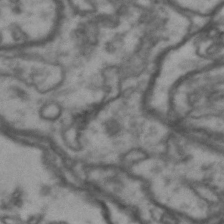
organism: Drosophila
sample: Brain